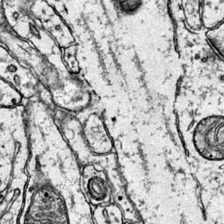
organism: Mouse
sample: Primary visual cortex